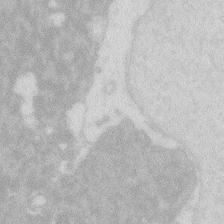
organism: Zebrafish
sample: Macrophage